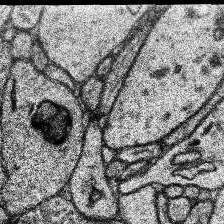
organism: Human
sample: Temporal Lobe